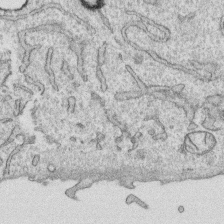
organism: Human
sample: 1205lu cells